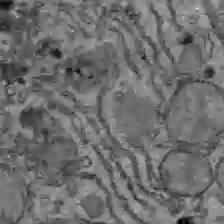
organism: C57BL Mouse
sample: Liver